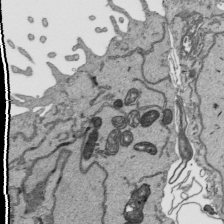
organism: Human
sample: Mitochondria in HCT116 cells